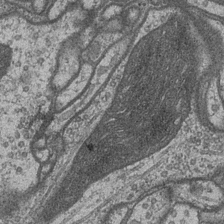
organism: Drosophila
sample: Optic medulla